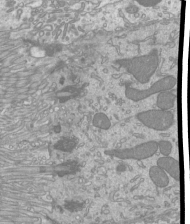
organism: Mouse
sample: Cilia; mouse epididymis